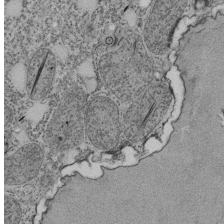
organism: Tetrahymena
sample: Cilia in tetrahymena